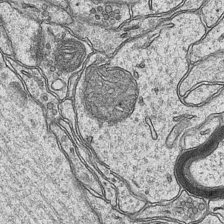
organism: Mouse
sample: CA1 Hippocampus